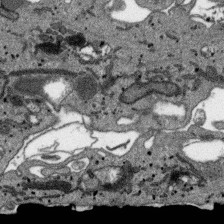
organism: Human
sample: Lung epithelial cells, uninfected (mock) control